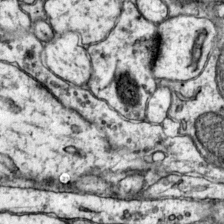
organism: Mouse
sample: Primary visual cortex